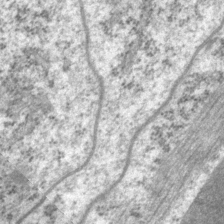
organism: P. pacificus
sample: Pharynx